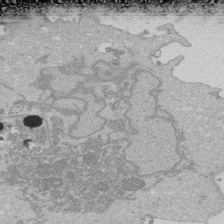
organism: Human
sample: Activated Jurkat CD4+ T cells